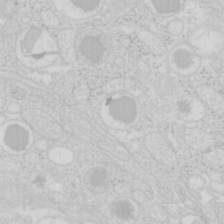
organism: Mouse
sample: Pancreas